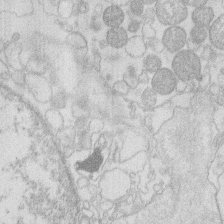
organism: Human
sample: Macrophage cells